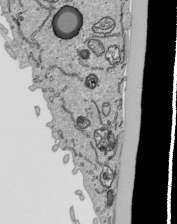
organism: Human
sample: Mitochondria in HCT116 cells